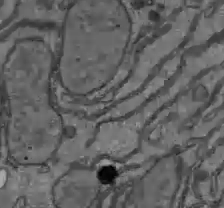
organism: C57BL Mouse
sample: Liver